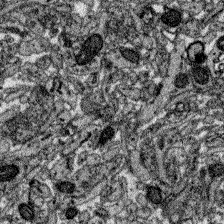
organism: Zebrafish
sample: Larval olfactory bulb